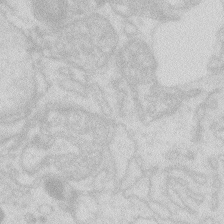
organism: Zebrafish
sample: Macrophage